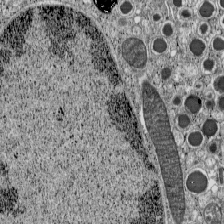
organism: C57BL Mouse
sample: Pancreatic islet